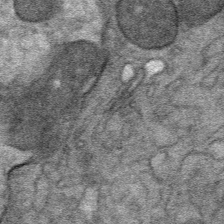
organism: Mouse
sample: Mouse Salivary gland